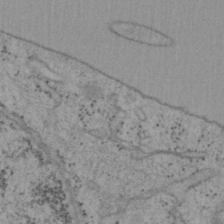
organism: Human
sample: HeLa cells